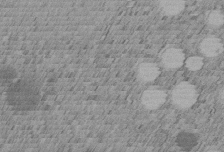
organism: C. elegans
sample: C. elegans embryo early stage